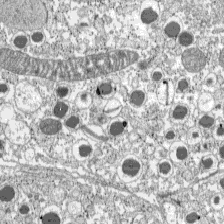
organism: C57BL Mouse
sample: Pancreatic islet